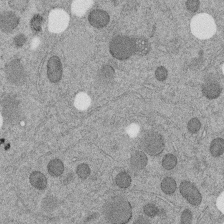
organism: C. elegans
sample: C. elegans embryo early stage